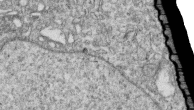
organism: Human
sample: HeLa cell HIV synapse